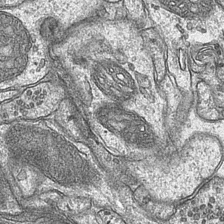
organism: Mouse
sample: CA1 Hippocampus